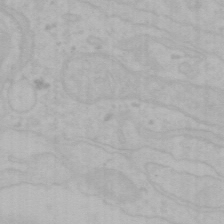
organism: Mouse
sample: Choroid plexus